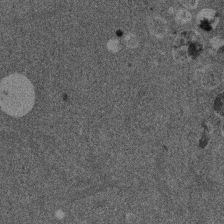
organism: Mouse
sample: Dividing mouse embryo 1 cell stage